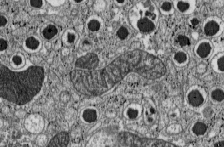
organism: C57BL Mouse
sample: Pancreatic islet